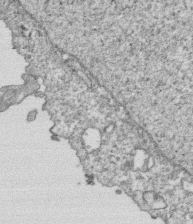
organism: Human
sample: HeLa cell HIV synapse